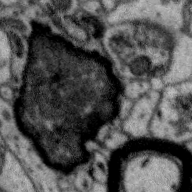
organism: Zebra finch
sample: Brain